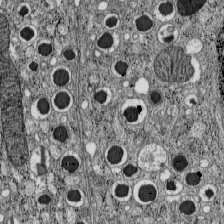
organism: C57BL Mouse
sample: Pancreatic islet